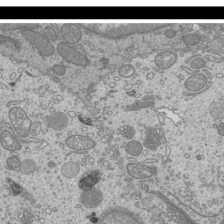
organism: Mouse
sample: Cilia; mouse epididymis